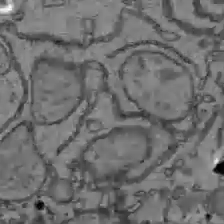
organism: C57BL Mouse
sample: Liver